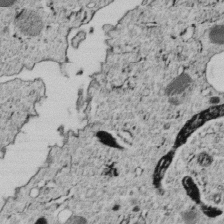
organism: C. elegans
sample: C. elegans embryo early stage